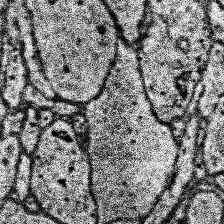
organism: Human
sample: Temporal Lobe